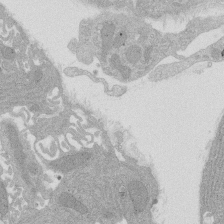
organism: Rat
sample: Salivary granule